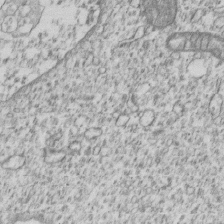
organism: Human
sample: MDA-MB-231 cells